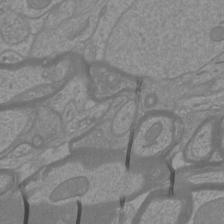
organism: Mouse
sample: Cortical neurons